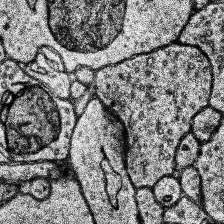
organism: Human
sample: Temporal Lobe